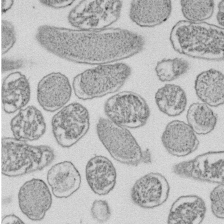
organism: E. coli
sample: Bacterial nucleoid